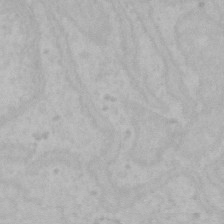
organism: Mouse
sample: Choroid plexus